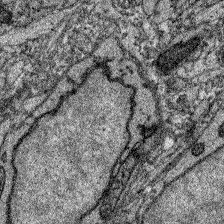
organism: Zebrafish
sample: Larval olfactory bulb